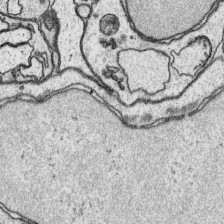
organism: Platynereis dumerilii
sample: Parapodia